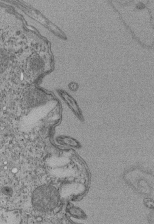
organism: Tetrahymena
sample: Cilia in tetrahymena